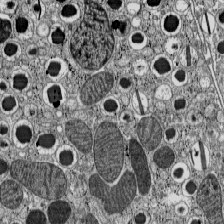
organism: C57BL Mouse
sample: Pancreatic islet